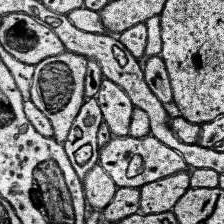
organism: Human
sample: Temporal Lobe